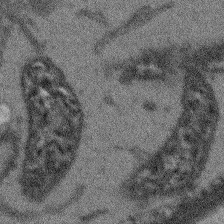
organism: Arabidopsis thaliana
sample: Root tip